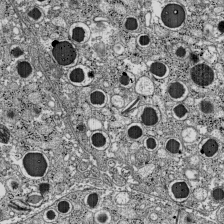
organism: C57BL Mouse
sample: Pancreatic islet